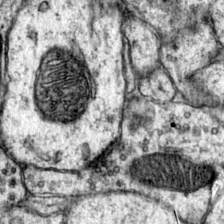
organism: Mouse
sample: Primary visual cortex